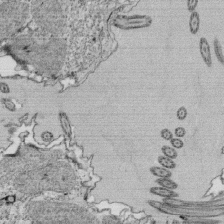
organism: Tetrahymena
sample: Cilia in tetrahymena